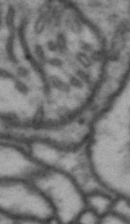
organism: Drosophila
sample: Brain